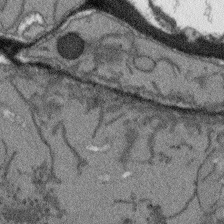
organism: Arabidopsis thaliana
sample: Root tip